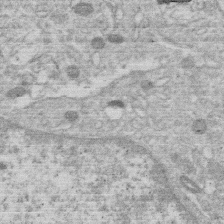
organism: Human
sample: Macrophage cells